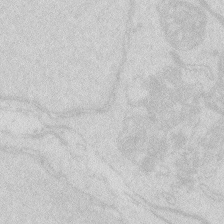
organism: Zebrafish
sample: Macrophage